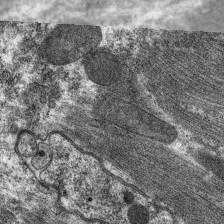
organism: C. elegans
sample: Pharynx